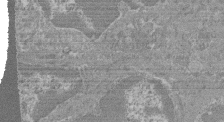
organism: Mouse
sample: Glomerulus